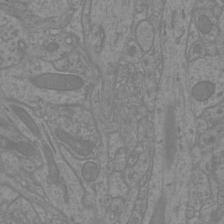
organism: Mouse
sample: Cortical neurons